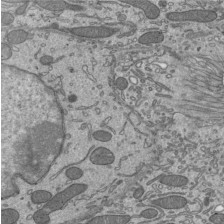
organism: Mouse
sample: Mouse epididymis efferent ductule cilia